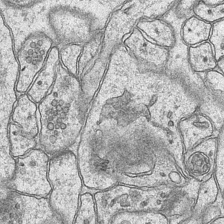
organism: Mouse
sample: CA1 Hippocampus